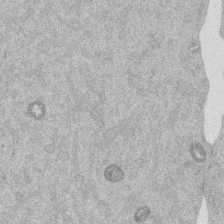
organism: Mouse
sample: Dividing mouse embryo 1 cell stage